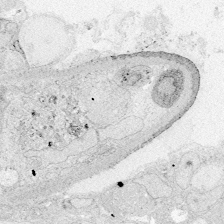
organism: Zebrafish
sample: Whole-Brain